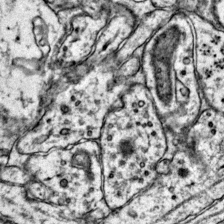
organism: Mouse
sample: Primary visual cortex